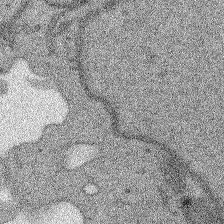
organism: Human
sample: HeLa cells